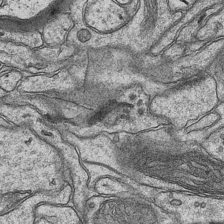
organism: Mouse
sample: CA1 Hippocampus